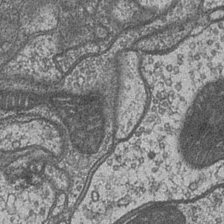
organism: Drosophila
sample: Optic medulla